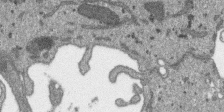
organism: Human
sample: Lung epithelial cells infected with SARS-CoV-2